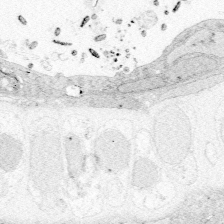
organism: Zebrafish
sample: Whole-Brain